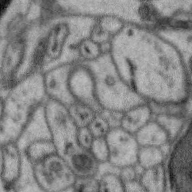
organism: Zebra finch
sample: Brain